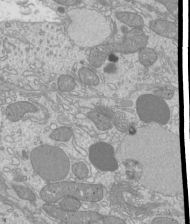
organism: Mouse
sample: Cilia; mouse epididymis